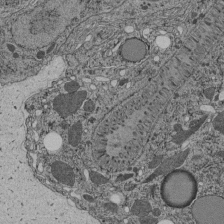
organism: C. elegans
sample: C. elegans pharynx